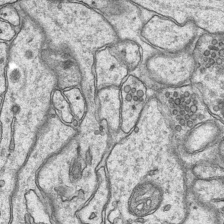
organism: Mouse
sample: CA1 Hippocampus